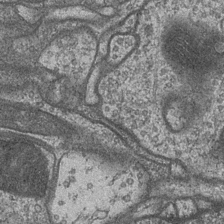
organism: Drosophila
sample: Optic medulla